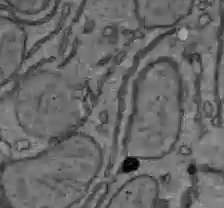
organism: C57BL Mouse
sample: Liver